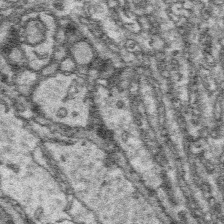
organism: Platynereis dumerilii